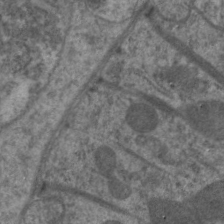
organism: C. elegans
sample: Pharynx